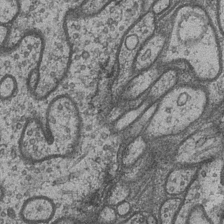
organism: Drosophila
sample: Optic medulla